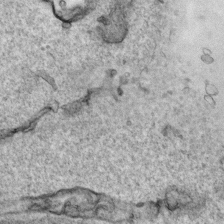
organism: Human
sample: Mitochondria in HCT116 cells